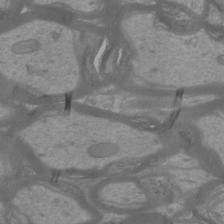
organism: Mouse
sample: Cortical neurons